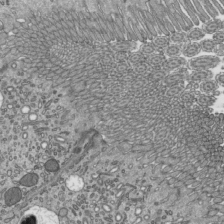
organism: Mouse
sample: Mouse epididymis efferent ductule cilia